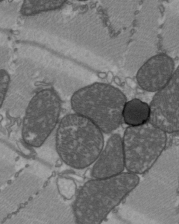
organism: C57BL Mouse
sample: Heart